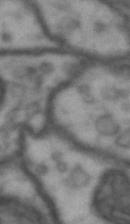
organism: Drosophila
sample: Brain